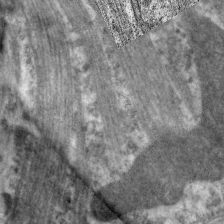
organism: C. elegans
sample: Pharynx